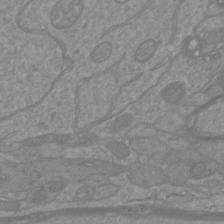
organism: Mouse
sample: Cortical neurons